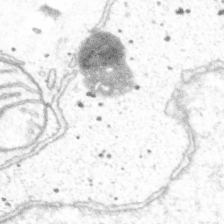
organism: Human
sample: HeLa cells